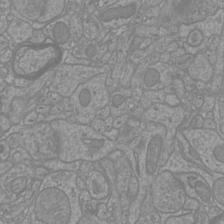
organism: Mouse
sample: Cortical neurons